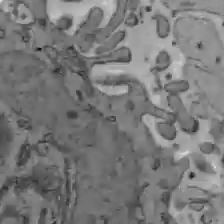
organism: C57BL Mouse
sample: Liver